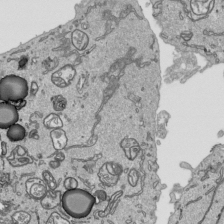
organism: Human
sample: Mitochondria in HCT116 cells